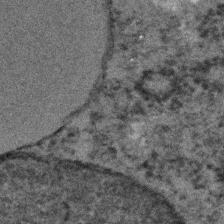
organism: C. elegans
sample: C. elegans embryo